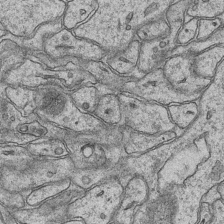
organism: Mouse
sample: CA1 Hippocampus